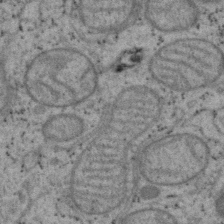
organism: Human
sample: HeLa cells